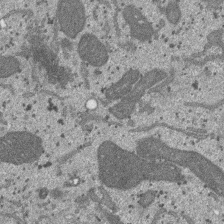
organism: Human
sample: Lung epithelial cells infected with SARS-CoV-2